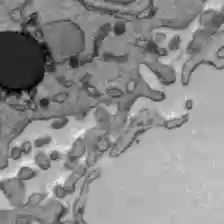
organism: C57BL Mouse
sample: Liver